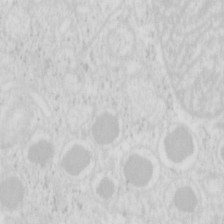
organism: Mouse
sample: Pancreas